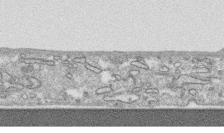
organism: Human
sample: CRL-1474